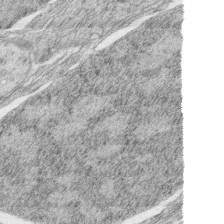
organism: Zebrafish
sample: synaptic ribbons in rod cells and cone cells